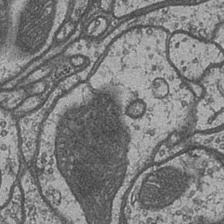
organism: Drosophila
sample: Optic medulla